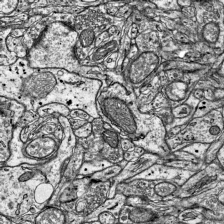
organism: Mouse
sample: Visual Cortex